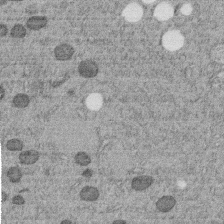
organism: C. elegans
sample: C. elegans embryo early stage